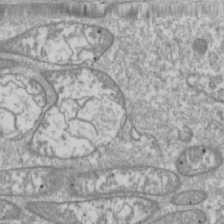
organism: Drosophila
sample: Cell division; meiosis; drosophila spermatocytes